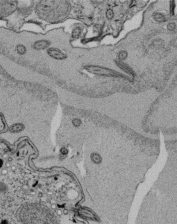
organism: Tetrahymena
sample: Cilia in tetrahymena